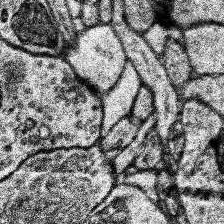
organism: Human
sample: Temporal Lobe